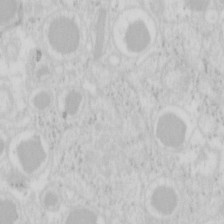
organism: Mouse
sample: Pancreas